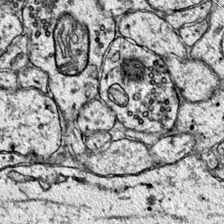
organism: Mouse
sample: Primary visual cortex